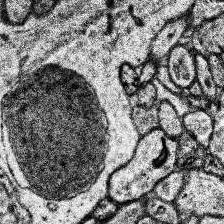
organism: Human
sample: Temporal Lobe